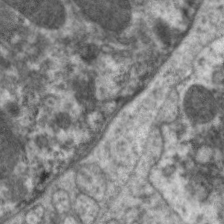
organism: C. elegans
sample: Pharynx